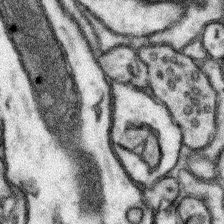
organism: Mouse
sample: Somatosensory cortex neuropil